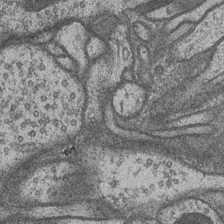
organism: Drosophila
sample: Optic medulla